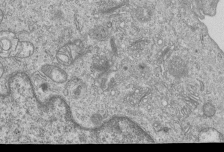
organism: Human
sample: MDA-MB-231 cells